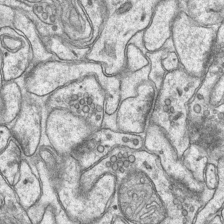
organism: Mouse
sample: CA1 Hippocampus